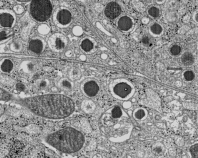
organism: C57BL Mouse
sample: Pancreatic islet